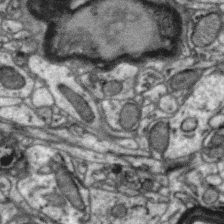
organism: Zebra finch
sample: Brain